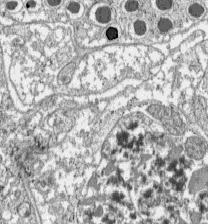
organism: C57BL Mouse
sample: Pancreatic islet